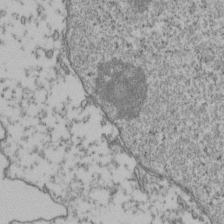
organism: Human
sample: Activated Jurkat CD4+ T cells